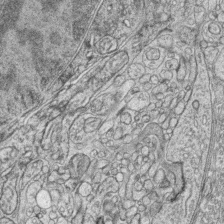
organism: Zebrafish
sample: synaptic ribbons in rod cells and cone cells